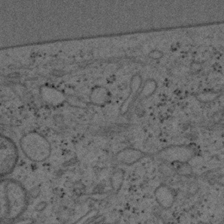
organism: Human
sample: HeLa cells